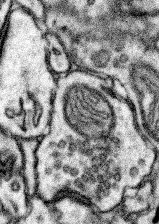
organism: Mouse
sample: Somatosensory cortex neuropil